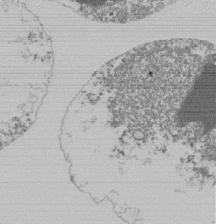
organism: Mouse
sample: Activated Pmel transgenic CD8+ T Cells